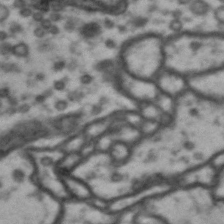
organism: Drosophila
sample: Brain